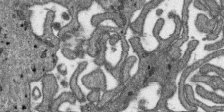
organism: Human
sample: Lung epithelial cells, uninfected (mock) control